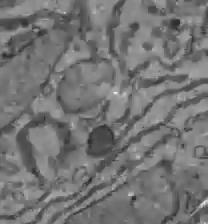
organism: C57BL Mouse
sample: Liver